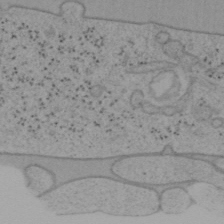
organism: Human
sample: HeLa cells